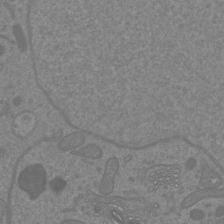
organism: Mouse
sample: Cortical neurons